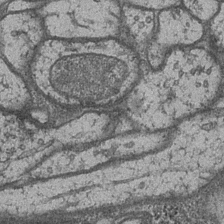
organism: Drosophila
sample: Optic medulla